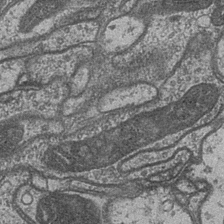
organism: Drosophila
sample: Optic medulla